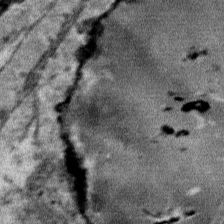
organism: Mouse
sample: Mouse Salivary gland